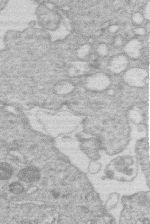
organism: Human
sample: Macrophage cells